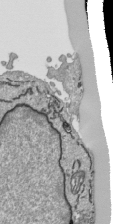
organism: Human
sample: Mitochondria in HCT116 cells